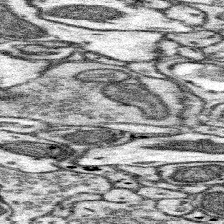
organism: Mouse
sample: Somatosensory cortex neuropil